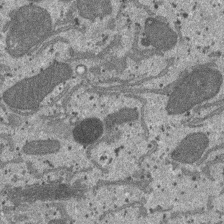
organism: Human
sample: Lung epithelial cells infected with SARS-CoV-2